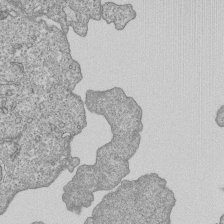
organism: Human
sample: MDA-MB-231 cells